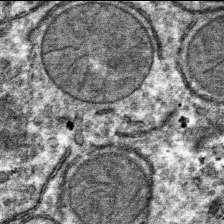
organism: Mouse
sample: Mouse hepatocytes